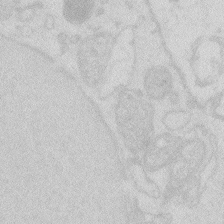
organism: Zebrafish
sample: Macrophage